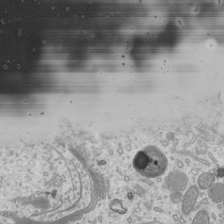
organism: Mouse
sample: Cilia; mouse epididymis